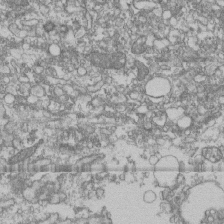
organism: Human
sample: Fibroblast cells